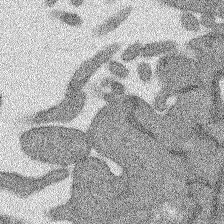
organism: Human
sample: HeLa cells